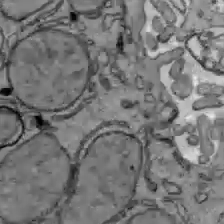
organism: C57BL Mouse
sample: Liver